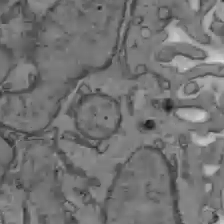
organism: C57BL Mouse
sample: Liver